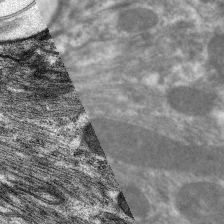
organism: C. elegans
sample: Pharynx